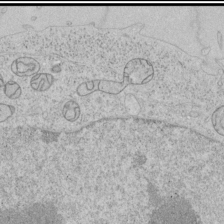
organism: Human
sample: Mitochondria in HCT116 cells